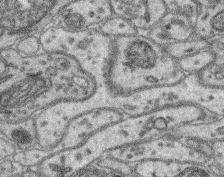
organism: Mouse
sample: Retina